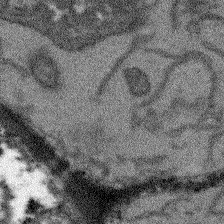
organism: Arabidopsis thaliana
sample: Root tip